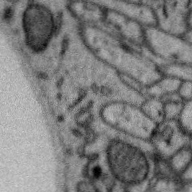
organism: Zebra finch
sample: Brain